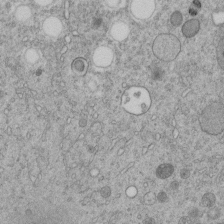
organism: C. elegans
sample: C. elegans embryo early stage